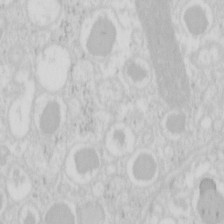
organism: Mouse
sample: Pancreas